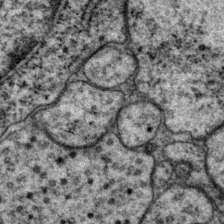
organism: P. pacificus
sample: Pharynx